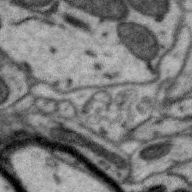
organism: Zebra finch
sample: Brain